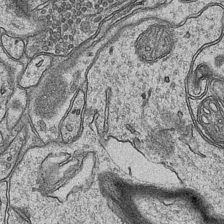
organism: Mouse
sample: CA1 Hippocampus